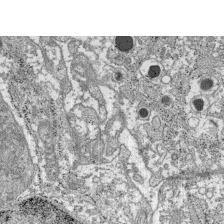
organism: C57BL Mouse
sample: Pancreatic islet